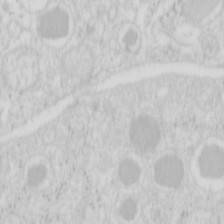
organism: Mouse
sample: Pancreas